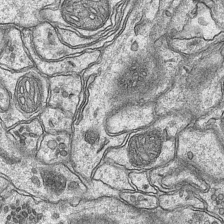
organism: Mouse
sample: CA1 Hippocampus